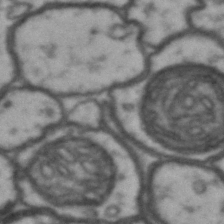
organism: Drosophila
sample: Brain